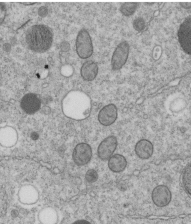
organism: C. elegans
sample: C. elegans embryo early stage